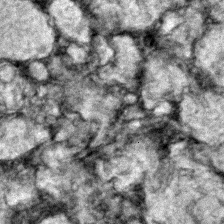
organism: Zebrafish